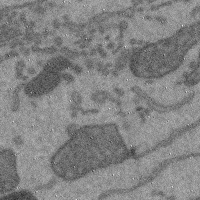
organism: Mouse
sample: Cerebral cortex